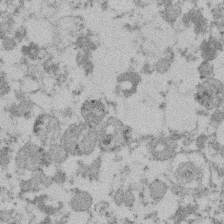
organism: Mouse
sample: Dividing mouse embryo 1 cell stage